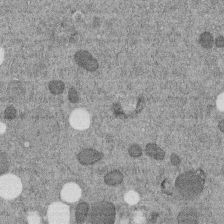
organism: C. elegans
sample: C. elegans embryo early stage